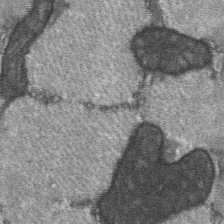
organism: C57BL Mouse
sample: Soleus